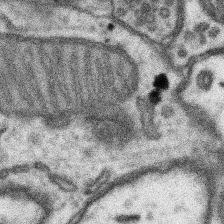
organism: Mouse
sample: Somatosensory cortex neuropil